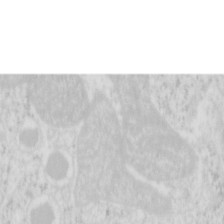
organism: Mouse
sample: Pancreas